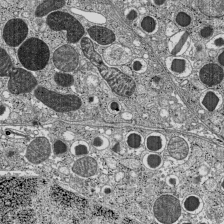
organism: C57BL Mouse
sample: Pancreatic islet